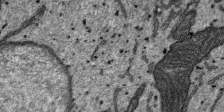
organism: Human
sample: Lung epithelial cells, uninfected (mock) control